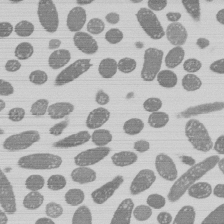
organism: E. coli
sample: Bacterial nucleoid